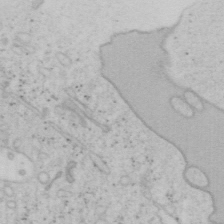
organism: Human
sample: HeLa cells